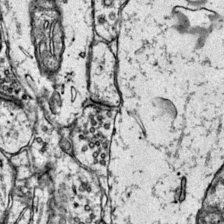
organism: Mouse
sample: Primary visual cortex